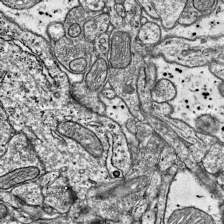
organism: Mouse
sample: Visual Cortex